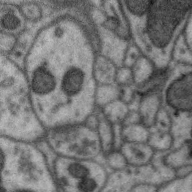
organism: Zebra finch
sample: Brain